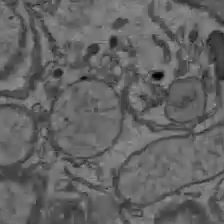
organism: C57BL Mouse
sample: Liver